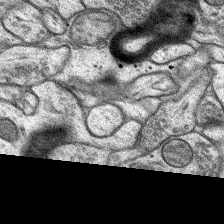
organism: Rat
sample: Hippocampus